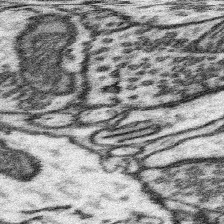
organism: Mouse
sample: Somatosensory cortex neuropil